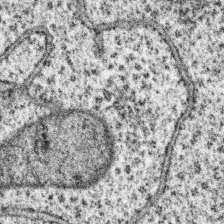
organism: Human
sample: HeLa cells